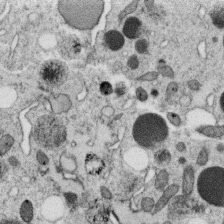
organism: C. elegans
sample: C. elegans oocyte; sperm cells